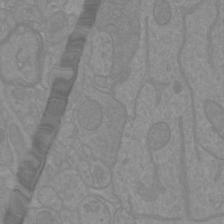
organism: Mouse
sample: Cortical neurons